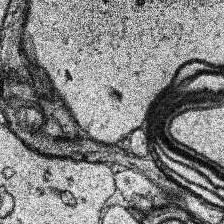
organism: Human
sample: Temporal Lobe